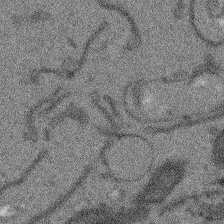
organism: Arabidopsis thaliana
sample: Root tip